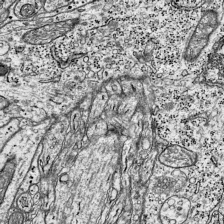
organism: Mouse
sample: Visual Cortex